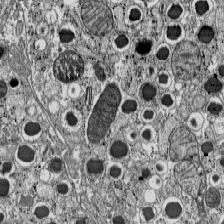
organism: C57BL Mouse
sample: Pancreatic islet